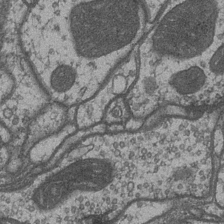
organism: Drosophila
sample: Optic medulla